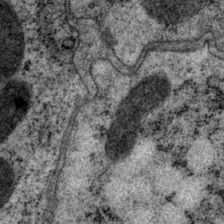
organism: P. pacificus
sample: Pharynx